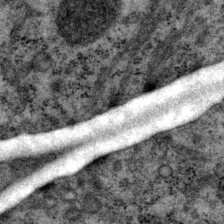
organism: P. pacificus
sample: Pharynx